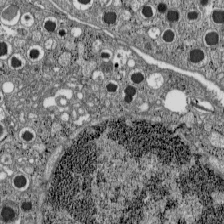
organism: C57BL Mouse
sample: Pancreatic islet